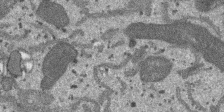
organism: Human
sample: Lung epithelial cells infected with SARS-CoV-2